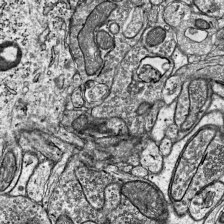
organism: Mouse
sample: Visual Cortex